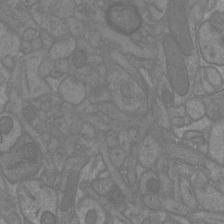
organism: Mouse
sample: Cortical neurons